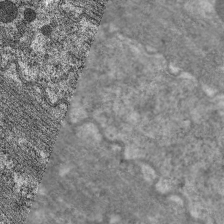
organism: C. elegans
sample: Pharynx